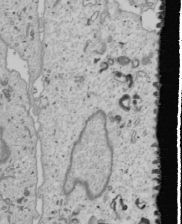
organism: Human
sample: Mitochondria in U2OS cells